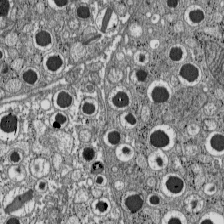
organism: C57BL Mouse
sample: Pancreatic islet